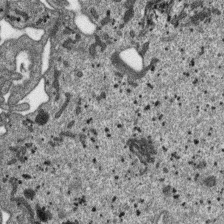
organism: Human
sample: Lung epithelial cells infected with SARS-CoV-2